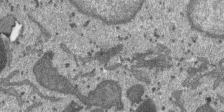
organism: Human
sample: Lung epithelial cells infected with SARS-CoV-2